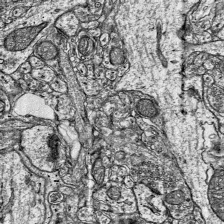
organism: Mouse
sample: Visual Cortex